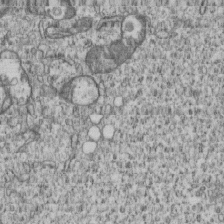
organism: Human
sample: MDA-MB-231 cells